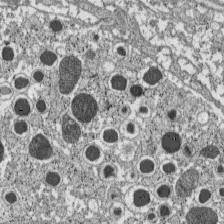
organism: C57BL Mouse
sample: Pancreatic islet